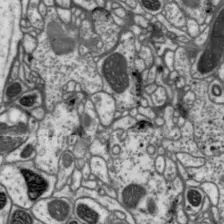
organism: Drosophila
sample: Protocerebral bridge